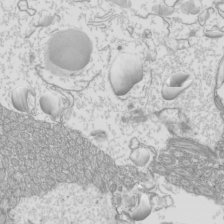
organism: Mouse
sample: Cilia; mouse epididymis